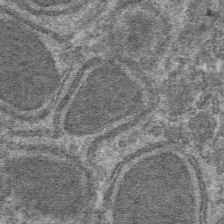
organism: Mouse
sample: Mouse hepatocytes